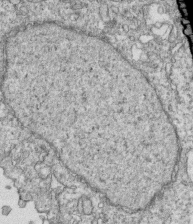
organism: Human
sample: HeLa cell HIV synapse